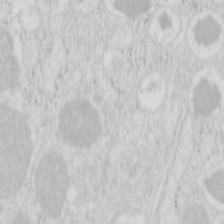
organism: Mouse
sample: Pancreas